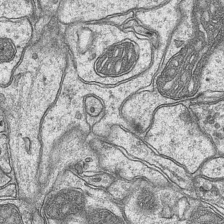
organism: Mouse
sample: CA1 Hippocampus